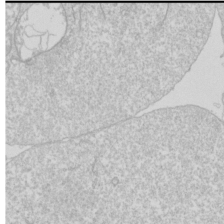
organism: Drosophila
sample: Cell division; meiosis; drosophila spermatocytes